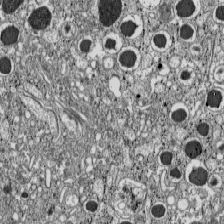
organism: C57BL Mouse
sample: Pancreatic islet